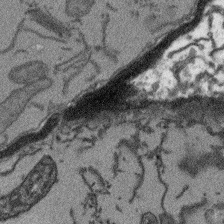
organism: Arabidopsis thaliana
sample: Root tip